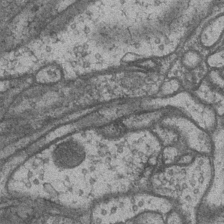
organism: Drosophila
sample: Optic medulla